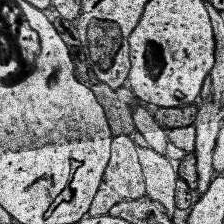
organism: Human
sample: Temporal Lobe